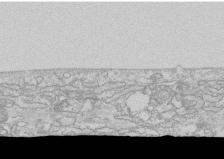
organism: Human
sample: CRL-1474